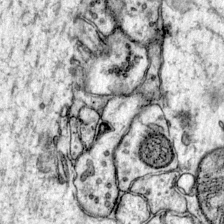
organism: Mouse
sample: Primary visual cortex